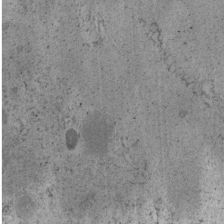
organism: C. elegans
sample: C. elegans embryo early stage